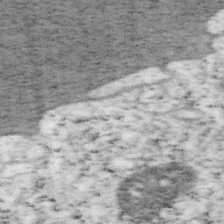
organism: Mouse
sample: OT-I killer T cells with ID8 ovarian cancer cells